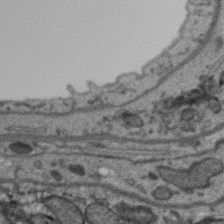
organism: Zebra finch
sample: Brain